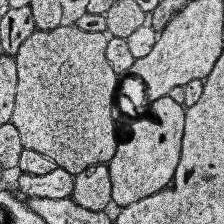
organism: Human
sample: Temporal Lobe